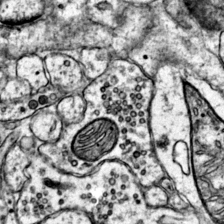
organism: Mouse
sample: Primary visual cortex